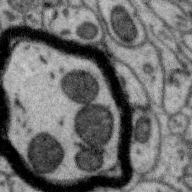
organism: Zebra finch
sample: Brain